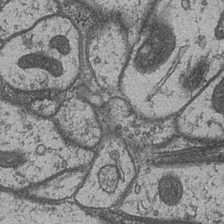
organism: Drosophila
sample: Optic medulla